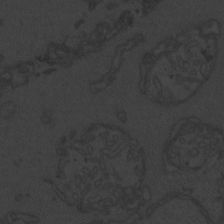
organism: Zebrafish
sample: Macrophage infected with Toxoplasma gondii